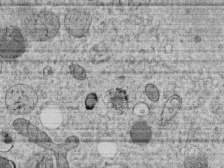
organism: C. elegans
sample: C. elegans embryo early stage